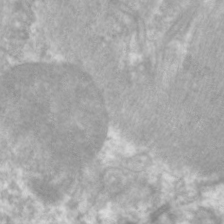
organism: C. elegans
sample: Pharynx